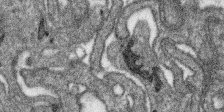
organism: Human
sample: Lung epithelial cells infected with SARS-CoV-2